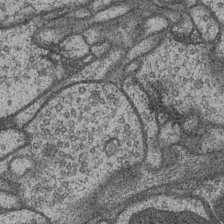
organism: Drosophila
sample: Optic medulla